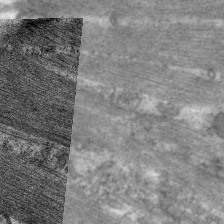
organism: C. elegans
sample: Pharynx